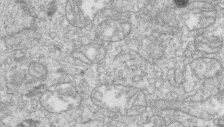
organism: Human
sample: HeLa cell HIV synapse